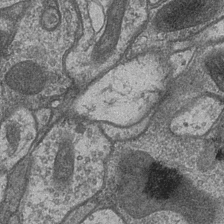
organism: Drosophila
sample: Optic medulla